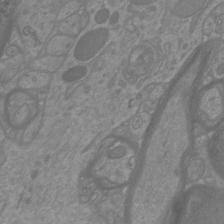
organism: Mouse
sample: Cortical neurons